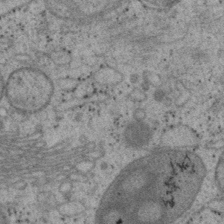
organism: Human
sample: HeLa cells